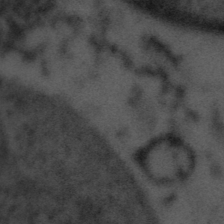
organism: Tuwongella immobilis